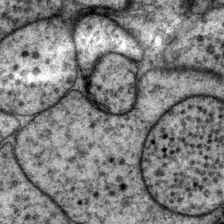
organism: P. pacificus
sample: Pharynx